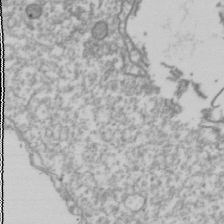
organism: Drosophila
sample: Cell division; meiosis; drosophila spermatocytes